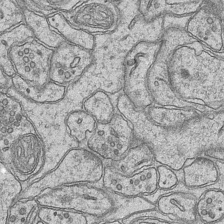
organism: Mouse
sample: CA1 Hippocampus